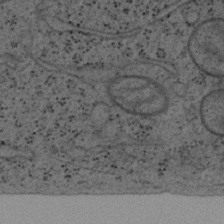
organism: Human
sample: HeLa cells